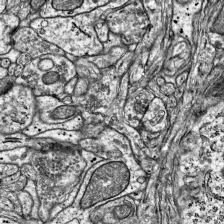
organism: Mouse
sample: Visual Cortex